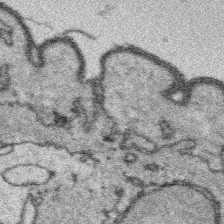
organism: Platynereis dumerilii